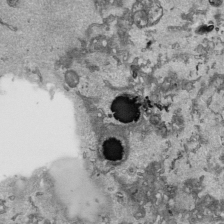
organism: Human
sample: Mitochondria in HCT116 cells